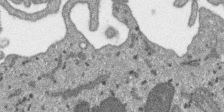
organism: Human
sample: Lung epithelial cells infected with SARS-CoV-2